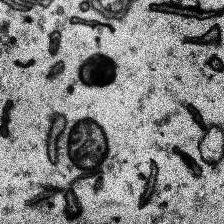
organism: Human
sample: Temporal Lobe